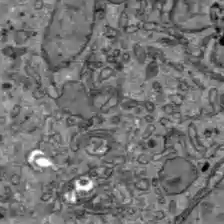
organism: C57BL Mouse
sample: Liver